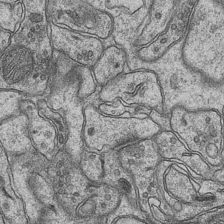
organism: Mouse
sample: CA1 Hippocampus